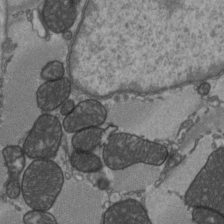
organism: C57BL Mouse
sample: Heart